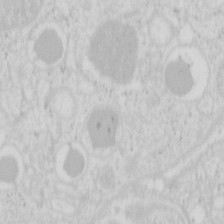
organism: Mouse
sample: Pancreas